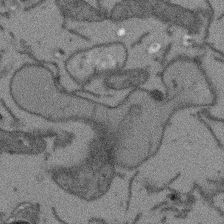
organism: Arabidopsis thaliana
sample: Root tip